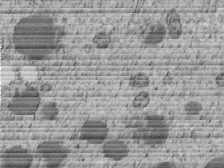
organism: C. elegans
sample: C. elegans embryo early stage